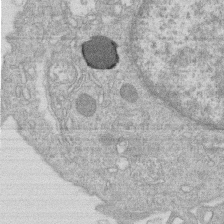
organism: Human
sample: Macrophage cells